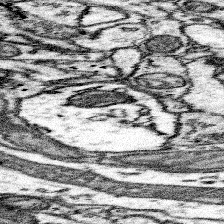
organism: Mouse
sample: Somatosensory cortex neuropil